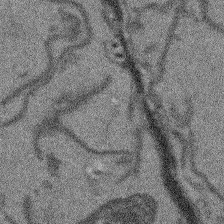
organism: Arabidopsis thaliana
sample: Root tip